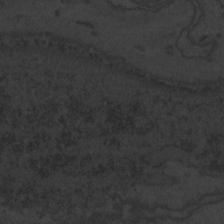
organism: Zebrafish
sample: Macrophage infected with Toxoplasma gondii